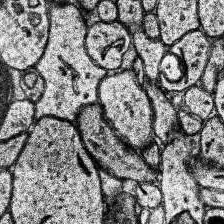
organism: Human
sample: Temporal Lobe